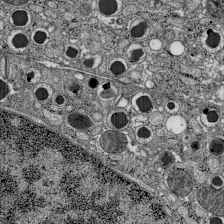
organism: C57BL Mouse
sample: Pancreatic islet